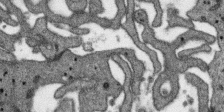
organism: Human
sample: Lung epithelial cells, uninfected (mock) control